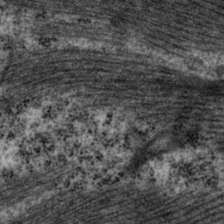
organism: P. pacificus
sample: Pharynx